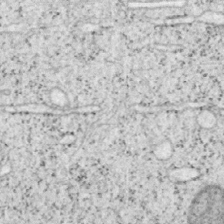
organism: Mouse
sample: OT-I killer T cells with ID8 ovarian cancer cells